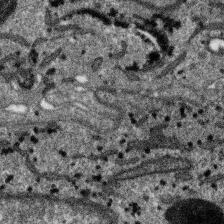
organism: Human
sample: Lung epithelial cells infected with SARS-CoV-2